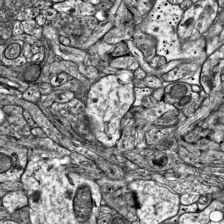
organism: Mouse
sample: Visual Cortex